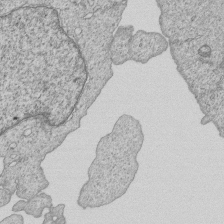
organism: Human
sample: MDA-MB-231 cells